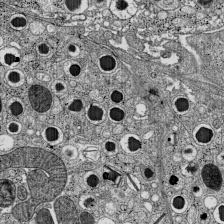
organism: C57BL Mouse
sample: Pancreatic islet